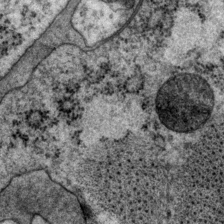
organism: P. pacificus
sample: Pharynx